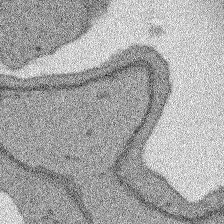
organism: Human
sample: HeLa cells